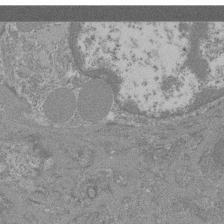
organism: Mouse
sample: Glomerulus